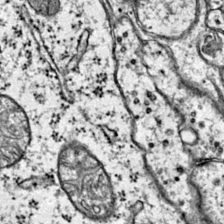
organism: Mouse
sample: Primary visual cortex